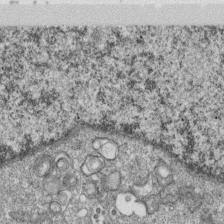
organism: African green monkey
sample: Vero E6 cells infected with SARS-CoV-2